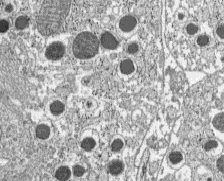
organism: C57BL Mouse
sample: Pancreatic islet